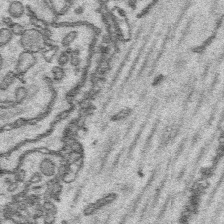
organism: Platynereis dumerilii